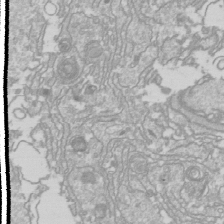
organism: Drosophila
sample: Cell division; meiosis; drosophila spermatocytes